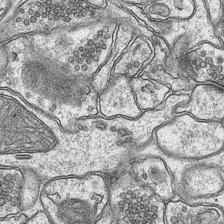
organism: Mouse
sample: CA1 Hippocampus